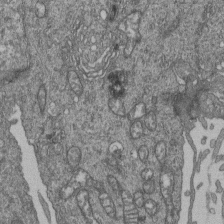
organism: Human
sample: Retinal organoid Rod and Cone cells